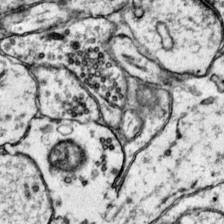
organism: Mouse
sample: Primary visual cortex